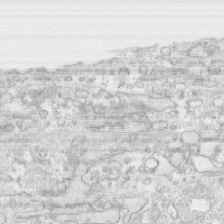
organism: Human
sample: CRL-1474